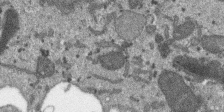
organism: Human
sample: Lung epithelial cells infected with SARS-CoV-2